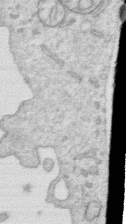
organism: Human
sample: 1205lu cells